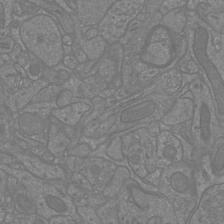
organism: Mouse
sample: Cortical neurons